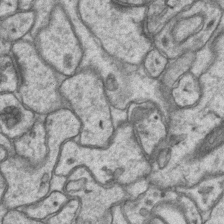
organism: Mouse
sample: CA1 Hippocampus